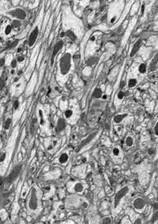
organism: Drosophila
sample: Optic lobe